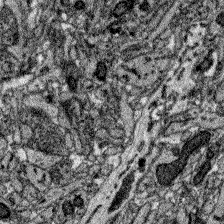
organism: Zebrafish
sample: Larval olfactory bulb